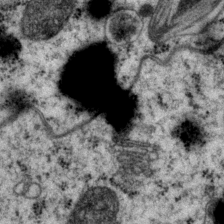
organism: P. pacificus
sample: Pharynx